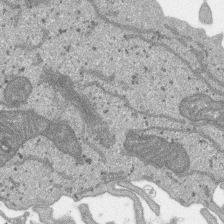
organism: Human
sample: Lung epithelial cells infected with SARS-CoV-2